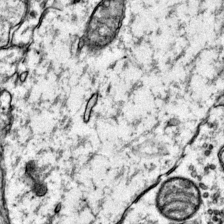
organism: Mouse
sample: Primary visual cortex